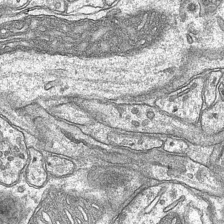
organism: Mouse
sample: CA1 Hippocampus